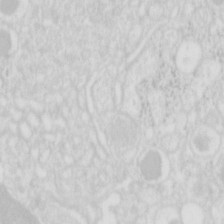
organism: Mouse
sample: Pancreas